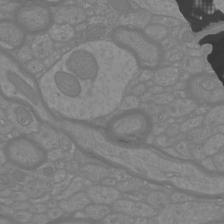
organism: Mouse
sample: Cortical neurons